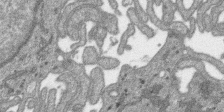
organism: Human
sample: Lung epithelial cells infected with SARS-CoV-2